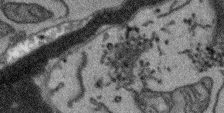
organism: Arabidopsis thaliana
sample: Root tip